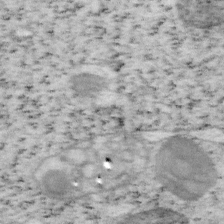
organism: Mouse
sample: OT-I killer T cells with ID8 ovarian cancer cells